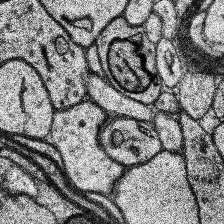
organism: Human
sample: Temporal Lobe